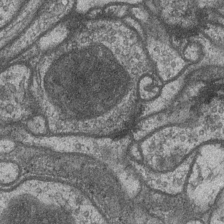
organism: Drosophila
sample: Optic medulla